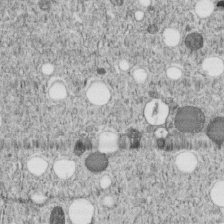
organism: C. elegans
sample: C. elegans embryo early stage